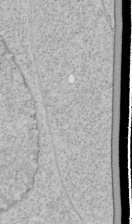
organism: Human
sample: Mitochondria in HCT116 cells